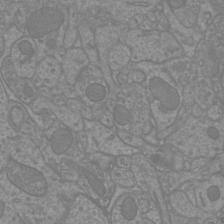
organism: Mouse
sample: Cortical neurons